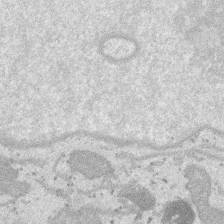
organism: Human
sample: Lung epithelial cells infected with SARS-CoV-2